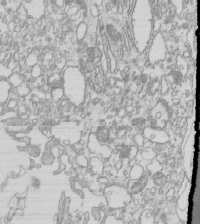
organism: Mouse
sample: Macrophages